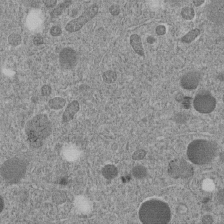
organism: C. elegans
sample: C. elegans embryo early stage